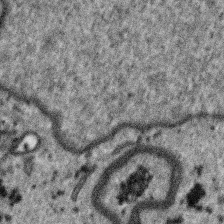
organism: Human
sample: Lung epithelial cells infected with SARS-CoV-2